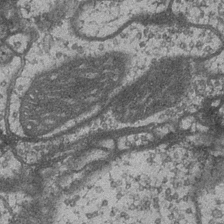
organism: Drosophila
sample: Optic medulla